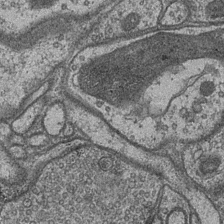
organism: Drosophila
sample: Optic medulla